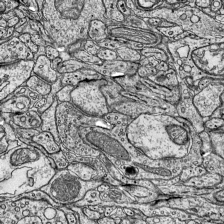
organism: Mouse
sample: Visual Cortex